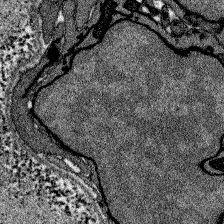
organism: Zebrafish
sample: Larval olfactory bulb